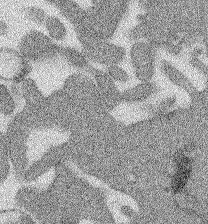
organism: Human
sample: HeLa cells